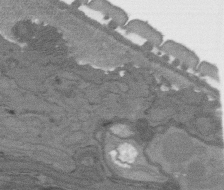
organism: C. elegans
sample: AFD neurons C. elegans